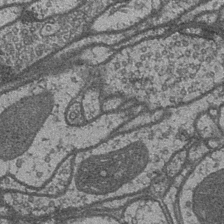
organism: Drosophila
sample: Optic medulla